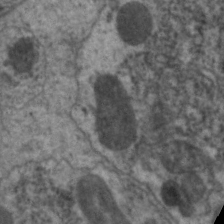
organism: C. elegans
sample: Pharynx